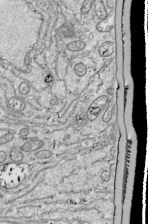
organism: Drosophila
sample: Cell division; meiosis; drosophila spermatocytes